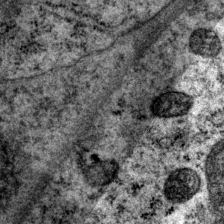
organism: P. pacificus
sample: Pharynx